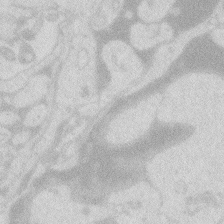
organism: Zebrafish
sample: Macrophage